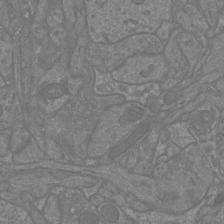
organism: Mouse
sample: Cortical neurons